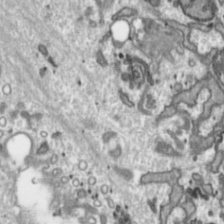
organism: Toxoplasma gondii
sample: Parasites in a vacuole inside a host cell